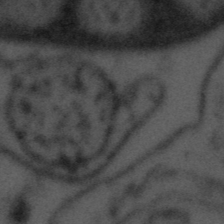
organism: Tuwongella immobilis